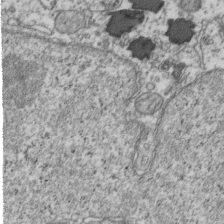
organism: Human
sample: Activated Jurkat CD4+ T cells